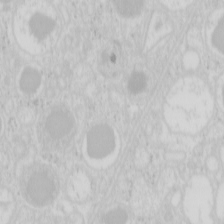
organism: Mouse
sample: Pancreas